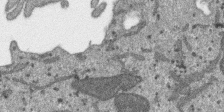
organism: Human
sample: Lung epithelial cells infected with SARS-CoV-2